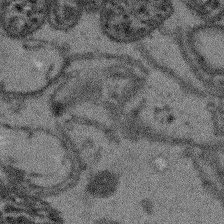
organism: Arabidopsis thaliana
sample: Root tip